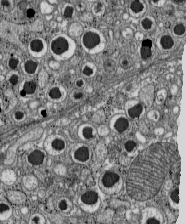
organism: C57BL Mouse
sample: Pancreatic islet